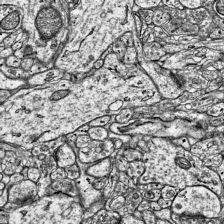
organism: Mouse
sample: Visual Cortex